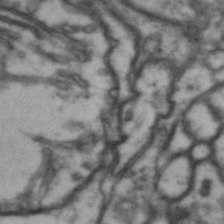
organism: Drosophila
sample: Brain